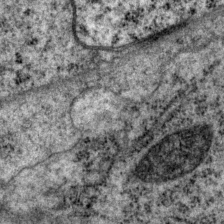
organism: P. pacificus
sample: Pharynx